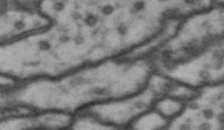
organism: Drosophila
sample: Brain